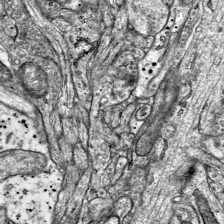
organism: Mouse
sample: Visual Cortex